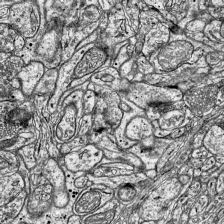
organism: Mouse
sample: Visual Cortex